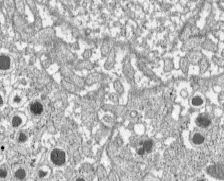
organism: C57BL Mouse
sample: Pancreatic islet